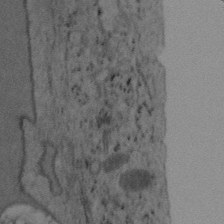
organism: Human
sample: HeLa cells